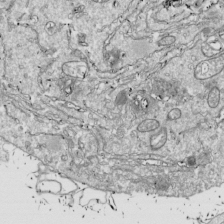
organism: Drosophila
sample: Cell division; meiosis; drosophila spermatocytes